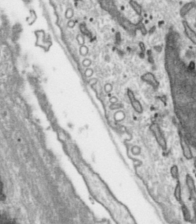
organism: Toxoplasma gondii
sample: Parasites in a vacuole inside a host cell